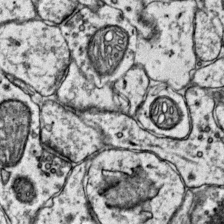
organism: Mouse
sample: Primary visual cortex